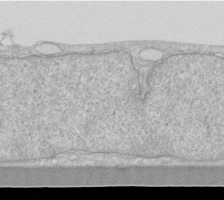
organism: Human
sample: Fibroblast cells